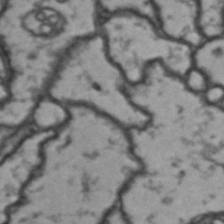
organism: Drosophila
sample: Brain